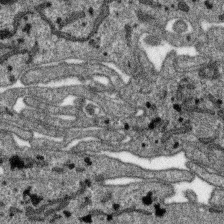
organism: Human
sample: Lung epithelial cells infected with SARS-CoV-2